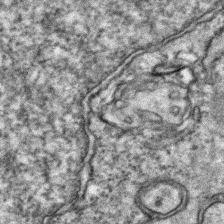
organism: Zebrafish